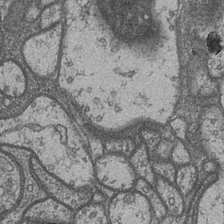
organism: Drosophila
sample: Optic medulla